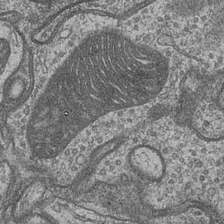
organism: Drosophila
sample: Optic medulla